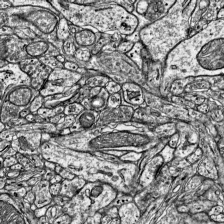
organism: Mouse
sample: Visual Cortex